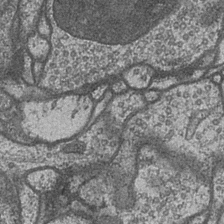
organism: Drosophila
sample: Optic medulla